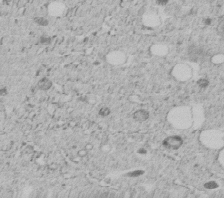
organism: C. elegans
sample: C. elegans embryo early stage